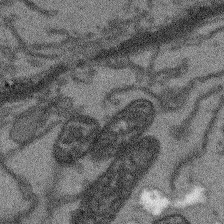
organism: Arabidopsis thaliana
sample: Root tip